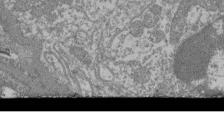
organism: Mouse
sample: Glomerulus